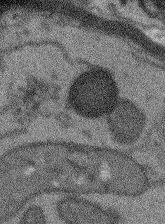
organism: Arabidopsis thaliana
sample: Root tip